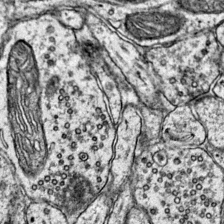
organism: Mouse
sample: Primary visual cortex